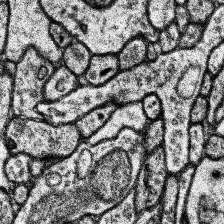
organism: Human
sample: Temporal Lobe